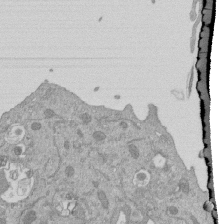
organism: Mouse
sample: ED-1 cell nuclei; centrioles